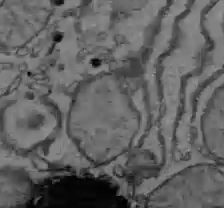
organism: C57BL Mouse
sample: Liver